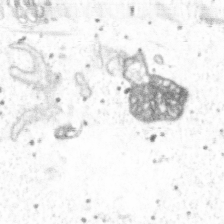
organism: Human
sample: HeLa cells